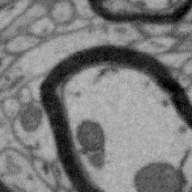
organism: Zebra finch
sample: Brain